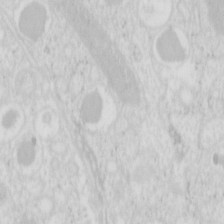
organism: Mouse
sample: Pancreas